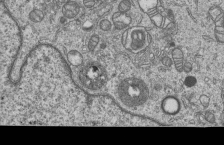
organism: Human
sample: MDA-MB-231 cells